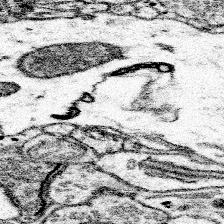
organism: Mouse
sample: Somatosensory cortex neuropil